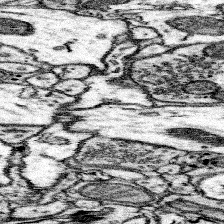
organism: Mouse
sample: Somatosensory cortex neuropil